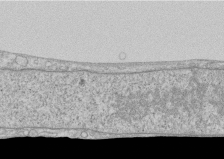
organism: Human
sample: CRL-1474